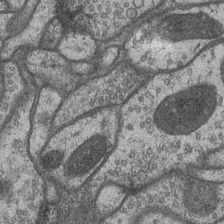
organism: Drosophila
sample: Optic medulla